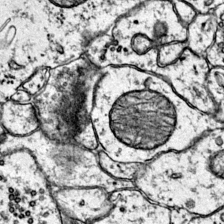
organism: Mouse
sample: Primary visual cortex